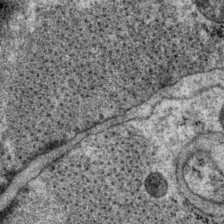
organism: P. pacificus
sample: Pharynx